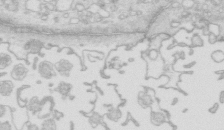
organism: Mouse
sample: Multiciliated cells